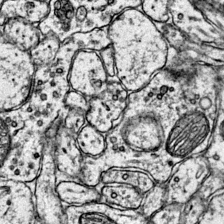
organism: Mouse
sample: Primary visual cortex